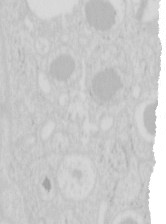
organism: Mouse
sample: Pancreas